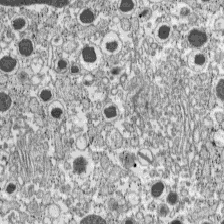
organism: C57BL Mouse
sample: Pancreatic islet